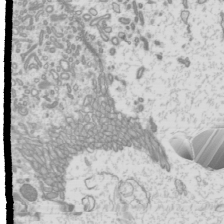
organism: Mouse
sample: Cilia; mouse epididymis